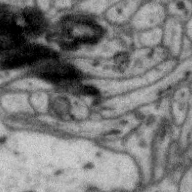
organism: Zebra finch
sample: Brain